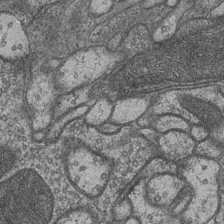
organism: Drosophila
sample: Optic medulla